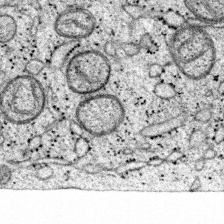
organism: Human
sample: HeLa cells